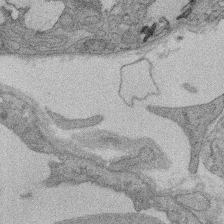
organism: Rat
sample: Salivary granule